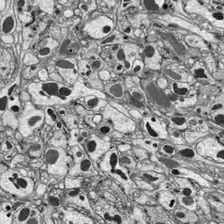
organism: Drosophila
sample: Optic lobe